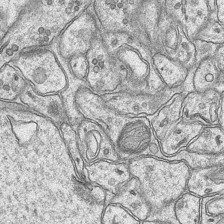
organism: Mouse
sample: CA1 Hippocampus